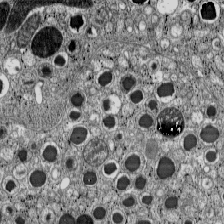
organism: C57BL Mouse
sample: Pancreatic islet